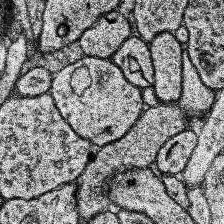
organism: Human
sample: Temporal Lobe